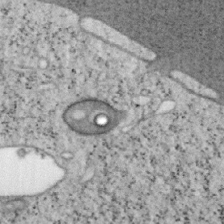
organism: Mouse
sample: OT-I killer T cells with ID8 ovarian cancer cells